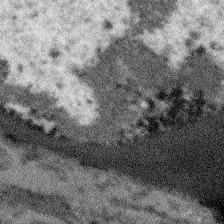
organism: Arabidopsis thaliana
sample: Root tip